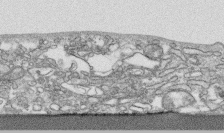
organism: Human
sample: CRL-1474